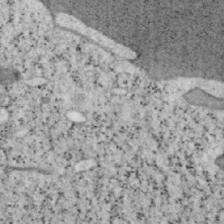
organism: Mouse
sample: OT-I killer T cells with ID8 ovarian cancer cells